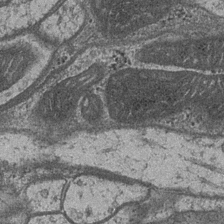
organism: Drosophila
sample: Optic medulla